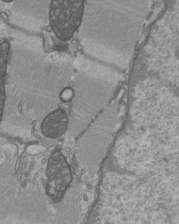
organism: C57BL Mouse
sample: Heart